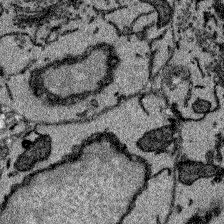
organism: Zebrafish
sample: Larval olfactory bulb